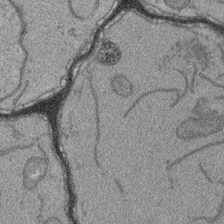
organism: Arabidopsis thaliana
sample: Root tip